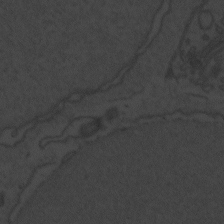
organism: Zebrafish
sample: Macrophage infected with Toxoplasma gondii